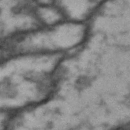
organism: Drosophila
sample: Brain